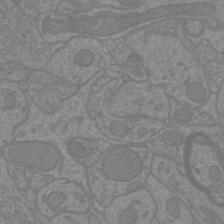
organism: Mouse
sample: Cortical neurons